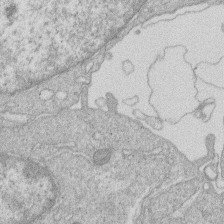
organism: Human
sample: Macrophage cells